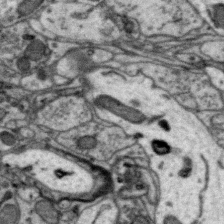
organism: Zebra finch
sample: Brain